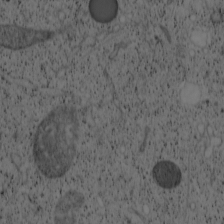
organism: African green monkey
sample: COS-7 cells